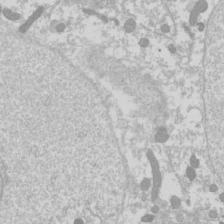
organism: Drosophila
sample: Cell division; meiosis; drosophila spermatocytes